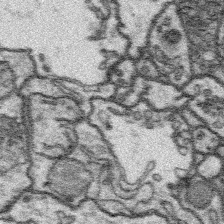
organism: Platynereis dumerilii